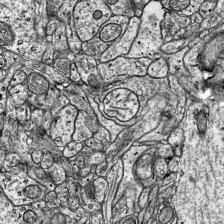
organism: Mouse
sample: Visual Cortex